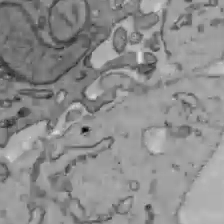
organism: C57BL Mouse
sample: Liver